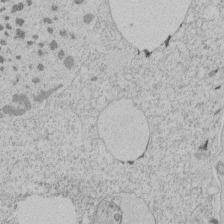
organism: Tetrahymena